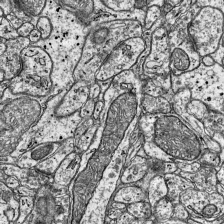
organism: Mouse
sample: Visual Cortex